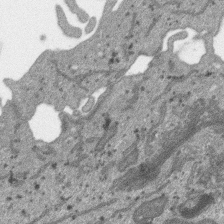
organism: Human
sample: Lung epithelial cells infected with SARS-CoV-2